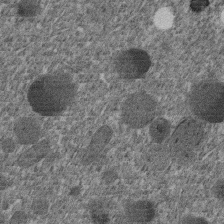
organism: C. elegans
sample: C. elegans embryo early stage